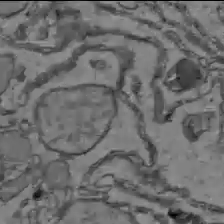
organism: C57BL Mouse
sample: Liver